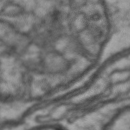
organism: Drosophila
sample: Brain